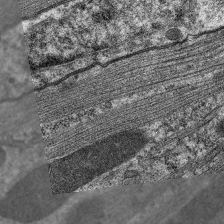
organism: C. elegans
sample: Pharynx